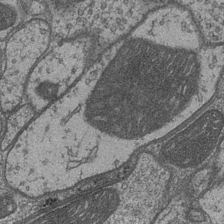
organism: Drosophila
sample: Optic medulla